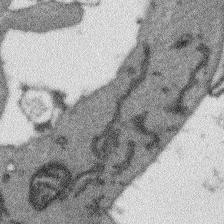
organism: Arabidopsis thaliana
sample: Root tip